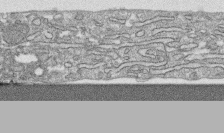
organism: Human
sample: CRL-1474